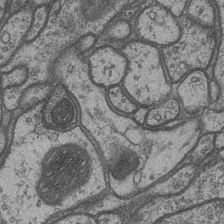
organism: Drosophila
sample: Optic medulla